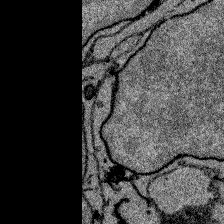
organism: Zebrafish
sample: Larval olfactory bulb